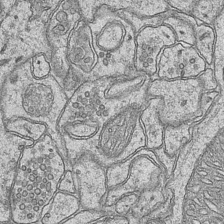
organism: Mouse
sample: CA1 Hippocampus